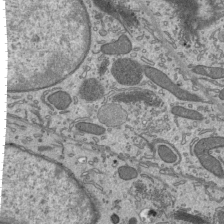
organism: Mouse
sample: Mouse epididymis efferent ductule cilia